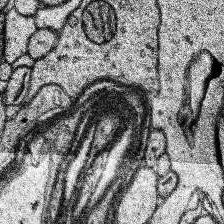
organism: Human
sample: Temporal Lobe